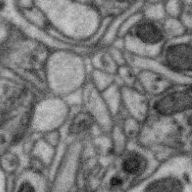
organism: Zebra finch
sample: Brain